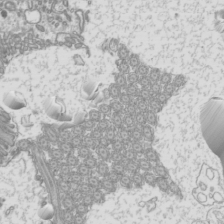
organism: Mouse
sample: Cilia; mouse epididymis